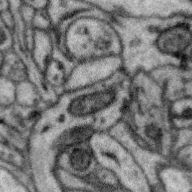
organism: Zebra finch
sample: Brain